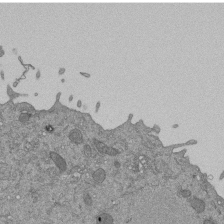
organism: Mouse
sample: ED-1 cell nuclei; centrioles